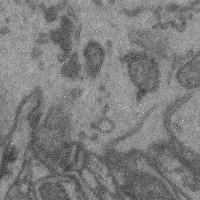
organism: Mouse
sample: Cerebral cortex